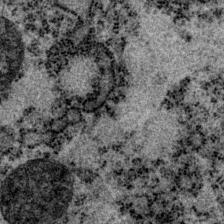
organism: P. pacificus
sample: Pharynx